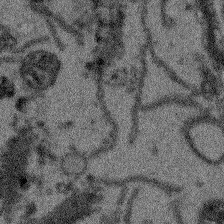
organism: Arabidopsis thaliana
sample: Root tip